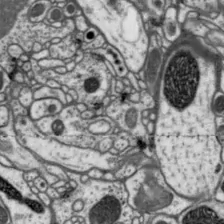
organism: Drosophila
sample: Protocerebral bridge